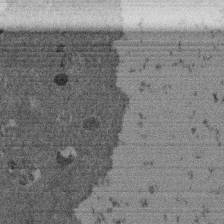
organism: Mouse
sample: Dividing mouse embryo 1 cell stage